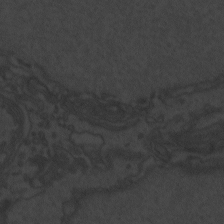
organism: Zebrafish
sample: Macrophage infected with Toxoplasma gondii